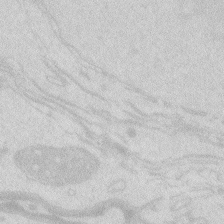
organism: Zebrafish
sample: Macrophage